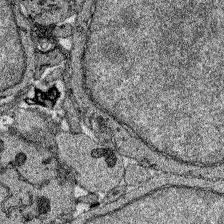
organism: Zebrafish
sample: Larval olfactory bulb